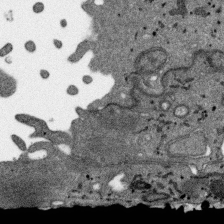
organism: Human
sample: Lung epithelial cells, uninfected (mock) control